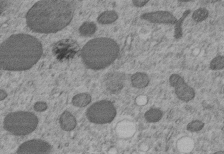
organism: C. elegans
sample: C. elegans embryo early stage